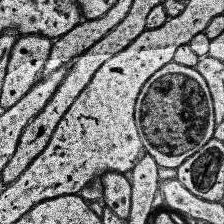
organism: Human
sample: Temporal Lobe